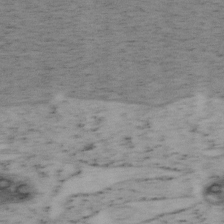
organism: Mouse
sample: OT-I killer T cells with ID8 ovarian cancer cells